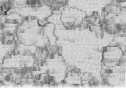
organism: Human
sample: HeLa cell HIV synapse